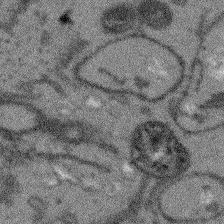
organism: Arabidopsis thaliana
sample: Root tip